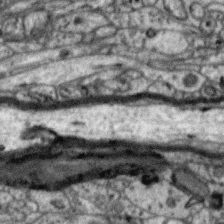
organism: Zebra finch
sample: Brain